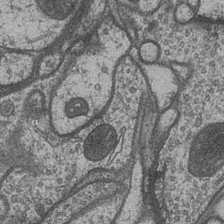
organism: Drosophila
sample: Optic medulla